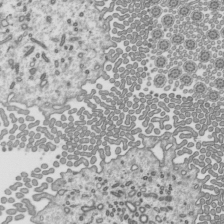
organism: Mouse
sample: Mouse epididymis efferent ductule cilia